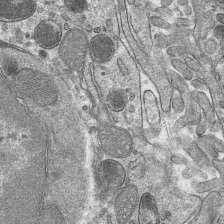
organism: Mouse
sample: Mouse hepatocytes